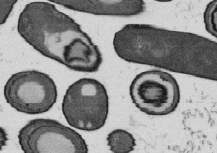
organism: B. subtilis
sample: Bacterial spore